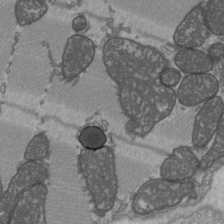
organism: C57BL Mouse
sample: Heart